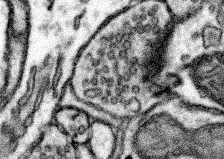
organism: Mouse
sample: Somatosensory cortex neuropil